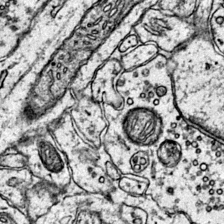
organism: Mouse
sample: Primary visual cortex